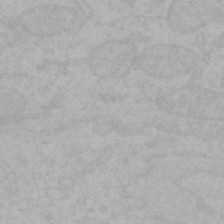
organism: Mouse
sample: Choroid plexus